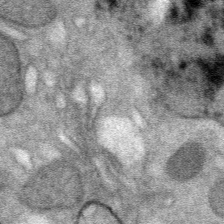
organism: Mouse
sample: Mouse Salivary gland